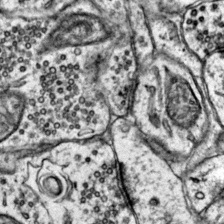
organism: Mouse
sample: Primary visual cortex